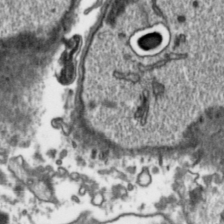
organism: Toxoplasma gondii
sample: Parasites in a vacuole inside a host cell